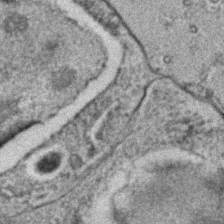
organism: C. elegans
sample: C. elegans embryo